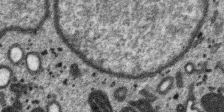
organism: Human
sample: Lung epithelial cells infected with SARS-CoV-2